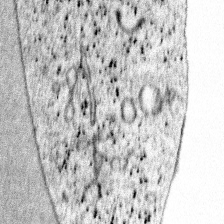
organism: Human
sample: HeLa cells